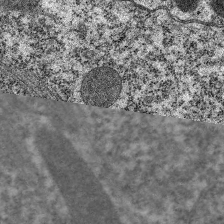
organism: C. elegans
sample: Pharynx